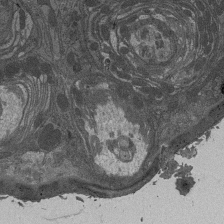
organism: Drosophila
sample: Antenna